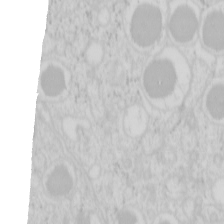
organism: Mouse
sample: Pancreas